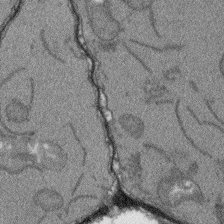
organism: Arabidopsis thaliana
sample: Root tip